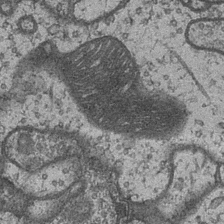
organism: Drosophila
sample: Optic medulla